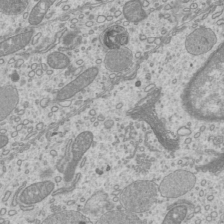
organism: Mouse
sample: Cilia; mouse epididymis